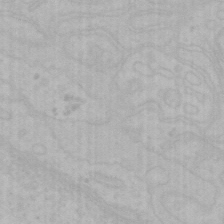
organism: Mouse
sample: Choroid plexus